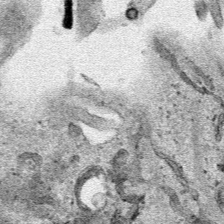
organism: Human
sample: Mitochondria in HCT116 cells